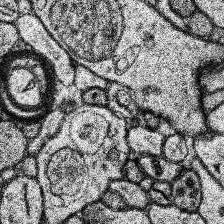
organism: Human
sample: Temporal Lobe